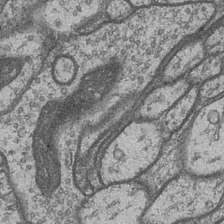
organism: Drosophila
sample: Optic medulla